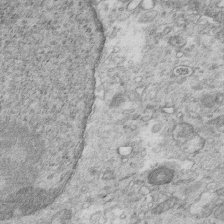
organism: Mouse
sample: Multiciliated cells